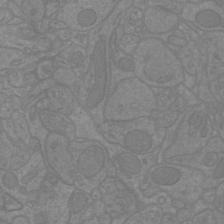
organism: Mouse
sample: Cortical neurons